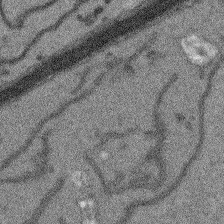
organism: Arabidopsis thaliana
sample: Root tip